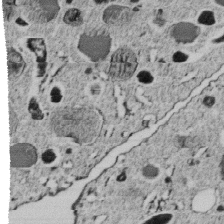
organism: C. elegans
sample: C. elegans embryo early stage